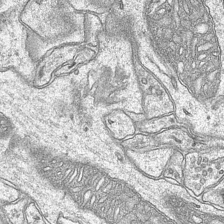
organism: Mouse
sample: CA1 Hippocampus